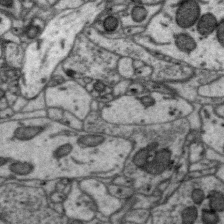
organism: Zebra finch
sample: Brain